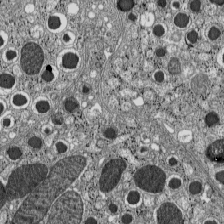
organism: C57BL Mouse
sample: Pancreatic islet